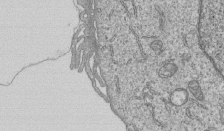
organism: Human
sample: MDA-MB-231 cells